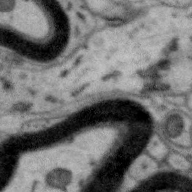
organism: Zebra finch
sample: Brain